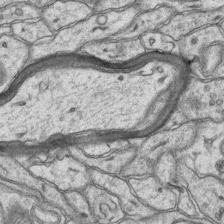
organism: Mouse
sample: CA1 Hippocampus